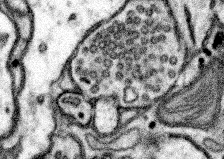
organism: Mouse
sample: Somatosensory cortex neuropil